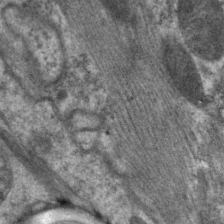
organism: C. elegans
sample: Pharynx